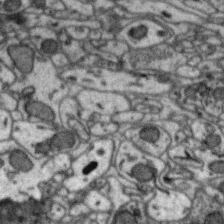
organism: Zebra finch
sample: Brain